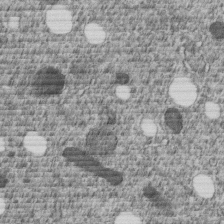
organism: C. elegans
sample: C. elegans embryo early stage